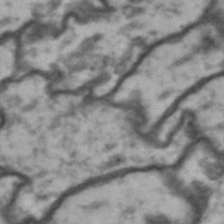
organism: Drosophila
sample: Brain